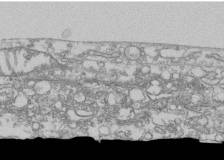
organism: Human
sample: Fibroblast cells